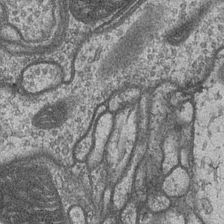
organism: Drosophila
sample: Optic medulla